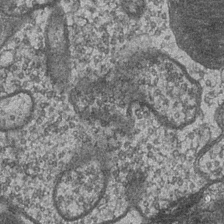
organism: Drosophila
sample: Optic medulla